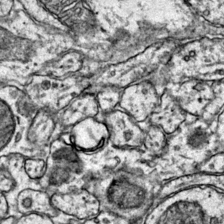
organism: Mouse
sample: Primary visual cortex